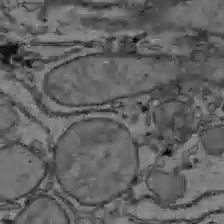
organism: C57BL Mouse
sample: Liver